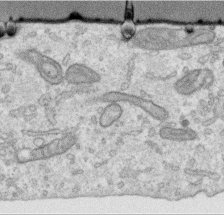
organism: Human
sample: Centriole in RPE cells